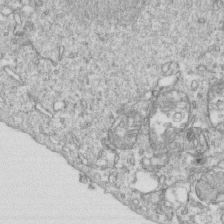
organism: Mouse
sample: Activated OT-1 CD8+ T cells